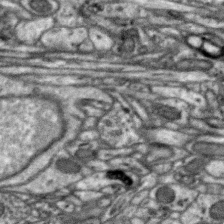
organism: Zebra finch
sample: Brain